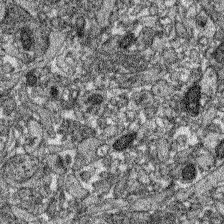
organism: Zebrafish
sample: Larval olfactory bulb